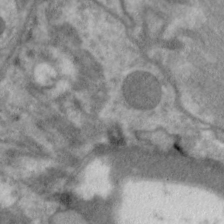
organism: C. elegans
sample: Pharynx